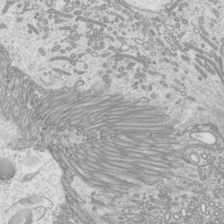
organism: Mouse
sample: Cilia; mouse epididymis